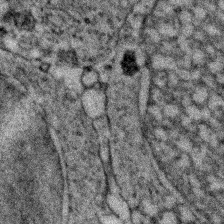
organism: Zebrafish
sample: Zebrafish embryo